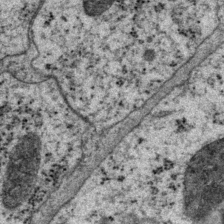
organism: P. pacificus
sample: Pharynx